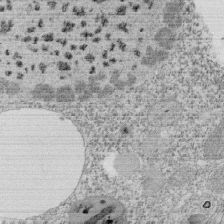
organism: Tetrahymena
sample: Cilia in tetrahymena